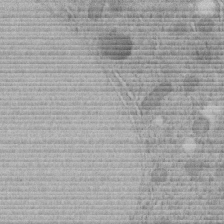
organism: C. elegans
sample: C. elegans embryo early stage